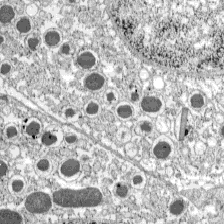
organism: C57BL Mouse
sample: Pancreatic islet